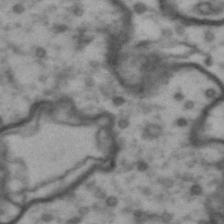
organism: Drosophila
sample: Brain